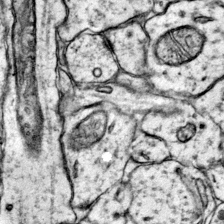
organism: Mouse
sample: Primary visual cortex